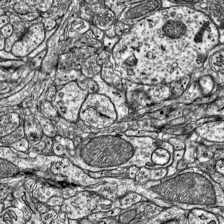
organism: Mouse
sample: Visual Cortex